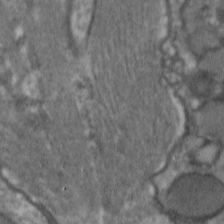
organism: C. elegans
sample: Pharynx